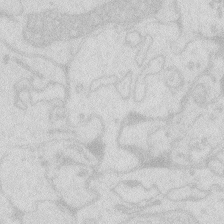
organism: Zebrafish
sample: Macrophage